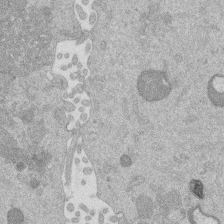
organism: Mouse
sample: Dividing mouse embryo 1 cell stage